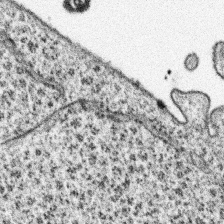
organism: Human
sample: HeLa cells